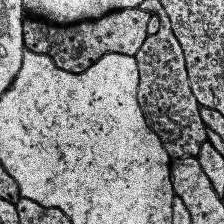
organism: Human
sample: Temporal Lobe